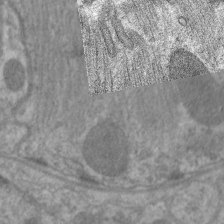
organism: C. elegans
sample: Pharynx